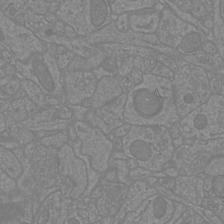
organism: Mouse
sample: Cortical neurons